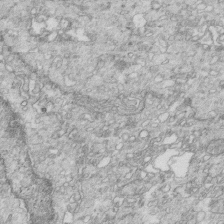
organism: Mouse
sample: Multiciliated cells